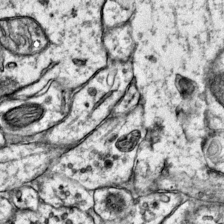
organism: Mouse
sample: Primary visual cortex